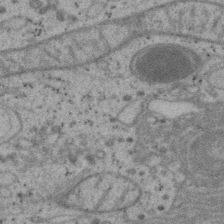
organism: Human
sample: HeLa cells